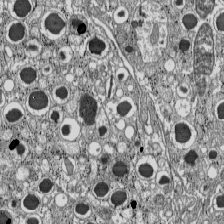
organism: C57BL Mouse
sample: Pancreatic islet